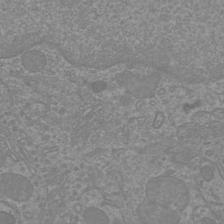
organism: Mouse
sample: Cortical neurons